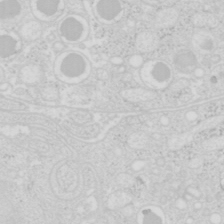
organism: Mouse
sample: Pancreas